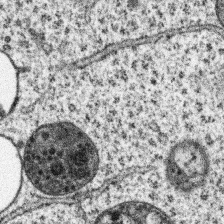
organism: Human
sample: HeLa cells